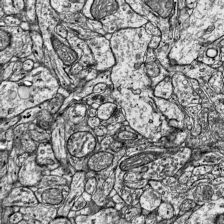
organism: Mouse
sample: Visual Cortex